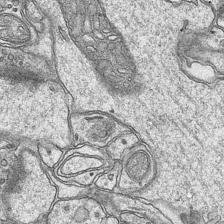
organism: Mouse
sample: CA1 Hippocampus